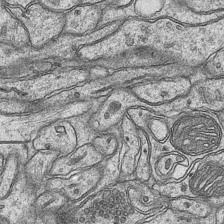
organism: Mouse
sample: CA1 Hippocampus